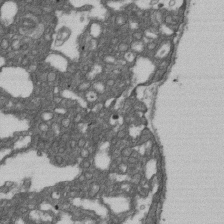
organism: Drosophila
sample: Nephrocyte